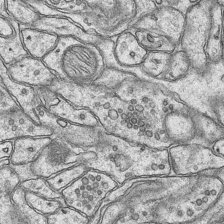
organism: Mouse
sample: CA1 Hippocampus